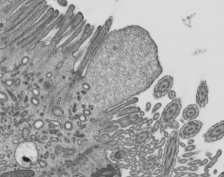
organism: Mouse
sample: Mouse epididymis efferent ductule cilia